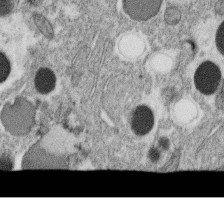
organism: C. elegans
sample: C. elegans oocyte; sperm cells